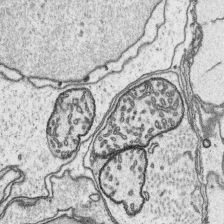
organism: Platynereis dumerilii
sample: Parapodia